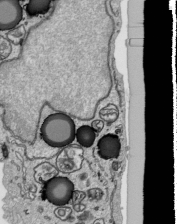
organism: Human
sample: Mitochondria in HCT116 cells